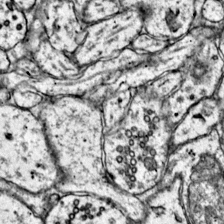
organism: Mouse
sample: Primary visual cortex